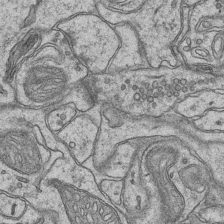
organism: Mouse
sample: CA1 Hippocampus